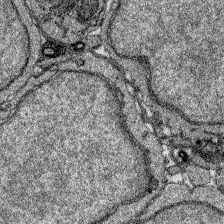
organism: Zebrafish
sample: Larval olfactory bulb